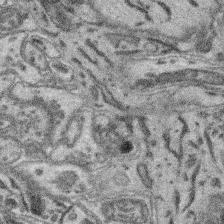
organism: Mouse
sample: Retina